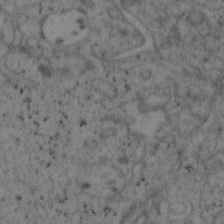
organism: Human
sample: HeLa cells